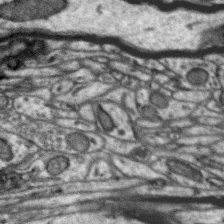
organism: Zebra finch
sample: Brain